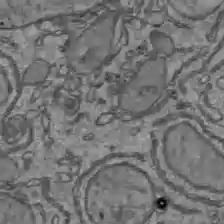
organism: C57BL Mouse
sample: Liver